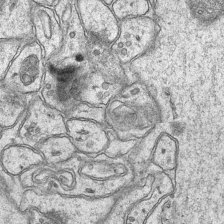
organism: Mouse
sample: CA1 Hippocampus